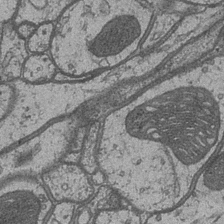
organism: Drosophila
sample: Optic medulla